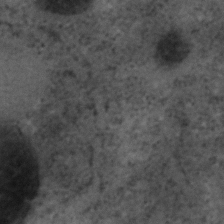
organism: C. elegans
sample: C. elegans embryo